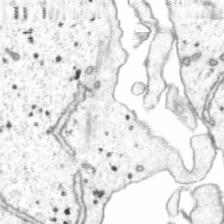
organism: Human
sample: HeLa cells